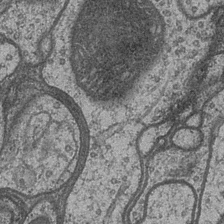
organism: Drosophila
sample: Optic medulla